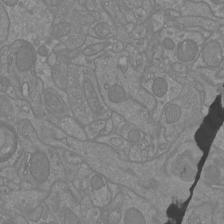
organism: Mouse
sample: Cortical neurons